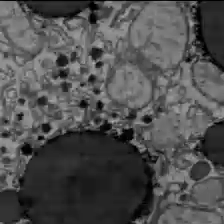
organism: C57BL Mouse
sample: Liver